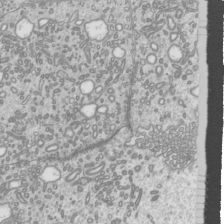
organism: Mouse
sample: Cilia; mouse epididymis